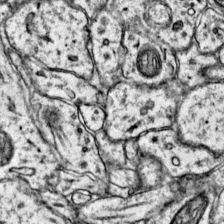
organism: Mouse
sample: Primary visual cortex